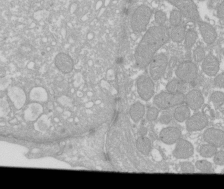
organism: Xenopus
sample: Cilia; centrioles in frog embryo cells